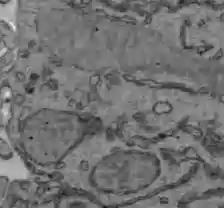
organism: C57BL Mouse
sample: Liver